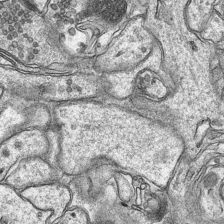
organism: Mouse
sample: CA1 Hippocampus